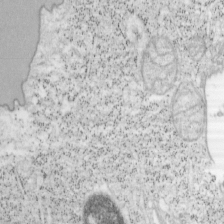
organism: Mouse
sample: OT-I killer T cells with ID8 ovarian cancer cells